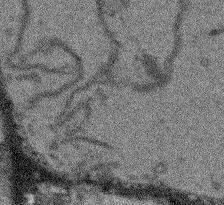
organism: Arabidopsis thaliana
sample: Root tip